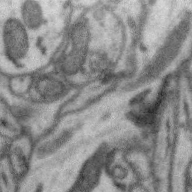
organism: Zebra finch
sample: Brain